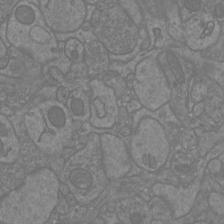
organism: Mouse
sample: Cortical neurons